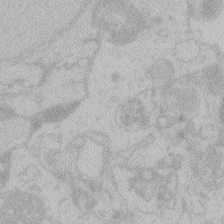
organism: Zebrafish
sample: Macrophage infected with Toxoplasma gondii